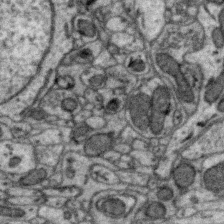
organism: Zebra finch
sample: Brain